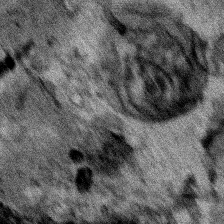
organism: Human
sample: Mitochondria in HCT116 cells